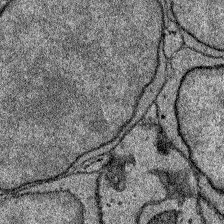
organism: Zebrafish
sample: Larval olfactory bulb